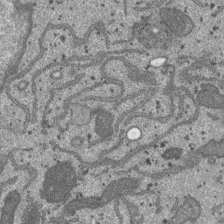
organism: Human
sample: Lung epithelial cells infected with SARS-CoV-2